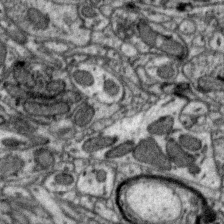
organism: Zebra finch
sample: Brain